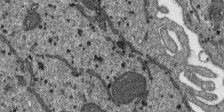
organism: Human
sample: Lung epithelial cells infected with SARS-CoV-2